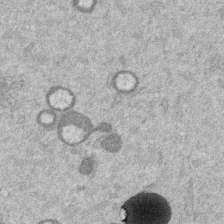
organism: Mouse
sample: Dividing mouse embryo 1 cell stage